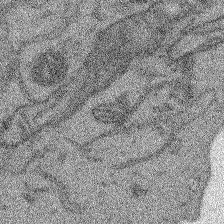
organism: Human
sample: HeLa cells